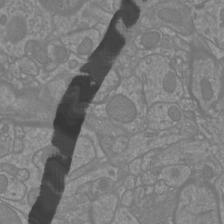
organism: Mouse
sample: Cortical neurons